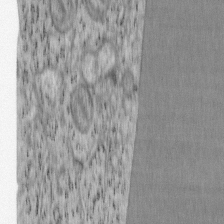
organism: Human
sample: HeLa cells